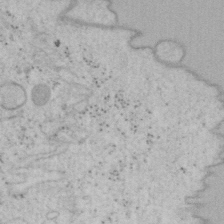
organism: Human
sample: HeLa cells